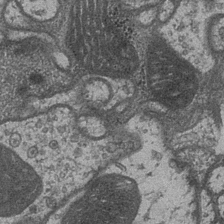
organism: Drosophila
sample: Optic medulla